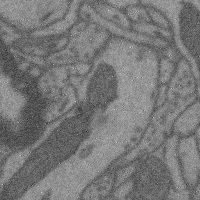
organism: Mouse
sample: Cerebral cortex